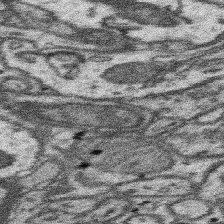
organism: Mouse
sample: Somatosensory cortex neuropil